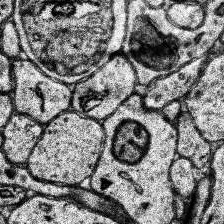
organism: Human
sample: Temporal Lobe